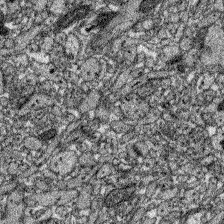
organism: Zebrafish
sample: Larval olfactory bulb